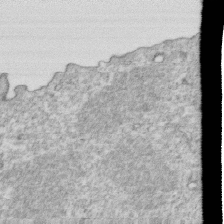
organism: Mouse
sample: Activated OT-1 CD8+ T cells